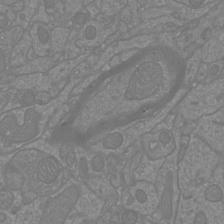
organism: Mouse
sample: Cortical neurons